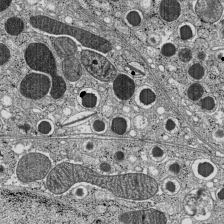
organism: C57BL Mouse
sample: Pancreatic islet